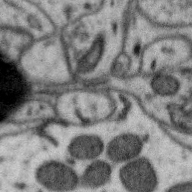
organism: Zebra finch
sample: Brain